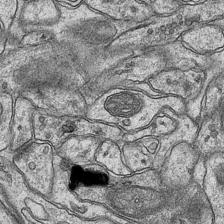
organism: Mouse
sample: CA1 Hippocampus